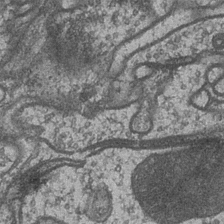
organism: Drosophila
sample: Optic medulla